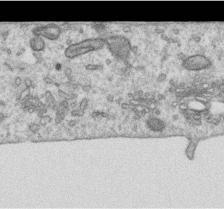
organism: Human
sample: Centriole in RPE cells